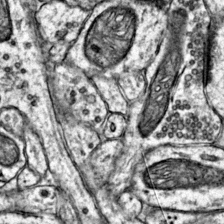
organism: Mouse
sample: Primary visual cortex